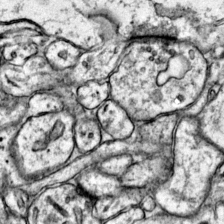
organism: Mouse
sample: Primary visual cortex